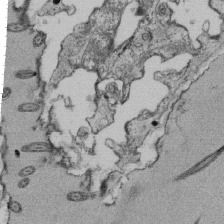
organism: Tetrahymena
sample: Cilia in tetrahymena